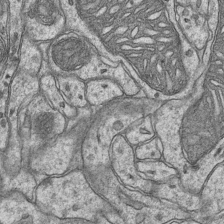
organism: Mouse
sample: CA1 Hippocampus